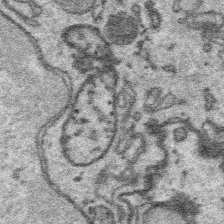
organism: Platynereis dumerilii